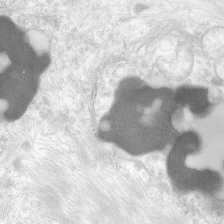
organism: Human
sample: Neocortex